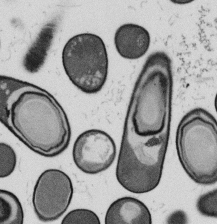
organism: B. subtilis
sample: Bacterial spore